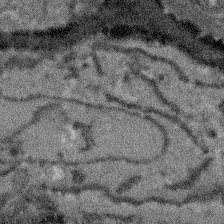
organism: Arabidopsis thaliana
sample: Root tip